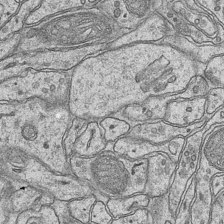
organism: Mouse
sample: CA1 Hippocampus